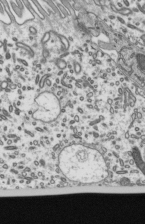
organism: Mouse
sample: Mouse epididymis efferent ductule cilia